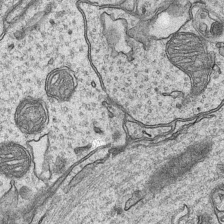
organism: Mouse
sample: CA1 Hippocampus